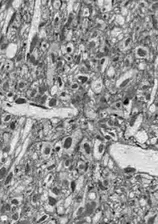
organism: Drosophila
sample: Optic lobe